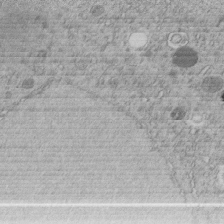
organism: C. elegans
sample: C. elegans embryo early stage